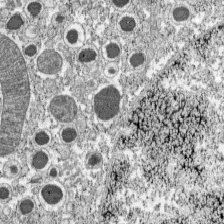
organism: C57BL Mouse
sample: Pancreatic islet